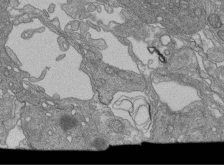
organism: Human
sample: Retinal organoid Rod and Cone cells